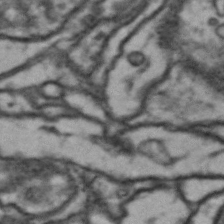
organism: Drosophila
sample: Brain